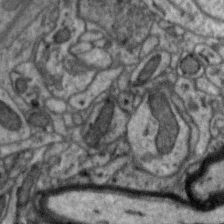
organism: Zebra finch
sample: Brain